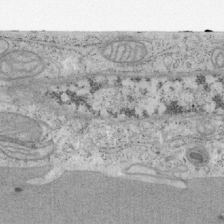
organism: Human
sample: HeLa cells